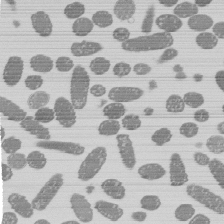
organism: E. coli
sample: Bacterial nucleoid